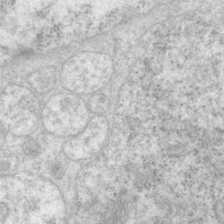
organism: P. pacificus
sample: Pharynx